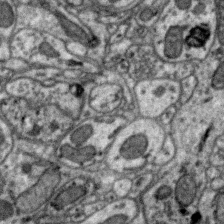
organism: Zebra finch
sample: Brain